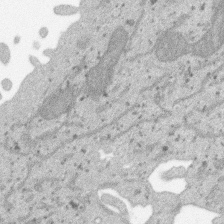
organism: Human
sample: Lung epithelial cells infected with SARS-CoV-2